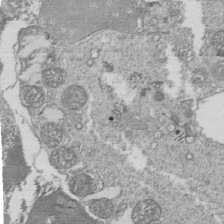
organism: Tetrahymena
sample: Cilia in tetrahymena